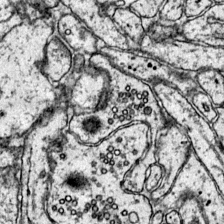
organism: Mouse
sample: Primary visual cortex